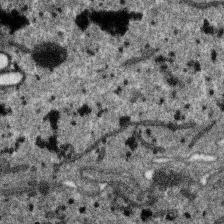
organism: Human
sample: Lung epithelial cells infected with SARS-CoV-2